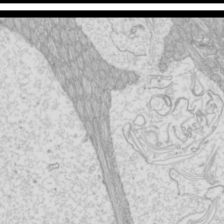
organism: Mouse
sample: Cilia; mouse epididymis